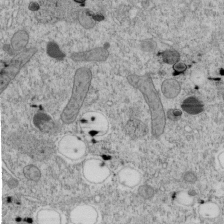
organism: C. elegans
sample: C. elegans embryo early stage